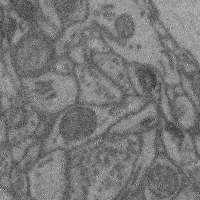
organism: Mouse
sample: Cerebral cortex